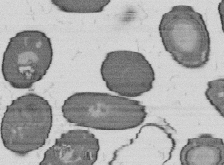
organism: B. subtilis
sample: Bacterial spore